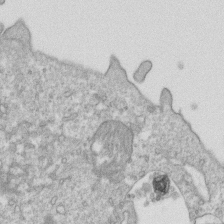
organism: Mouse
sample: Activated OT-1 CD8+ T cells